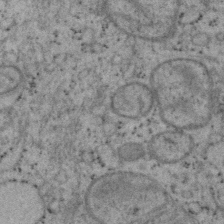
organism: Human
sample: HeLa cells